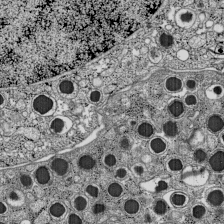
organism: C57BL Mouse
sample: Pancreatic islet